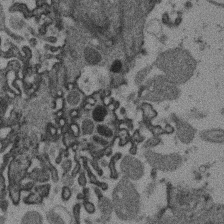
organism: Mouse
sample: Dividing mouse embryo 1 cell stage